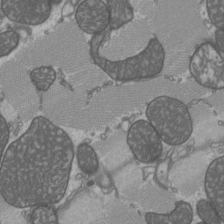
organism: C57BL Mouse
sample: Heart